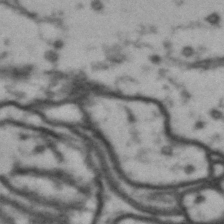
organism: Drosophila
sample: Brain